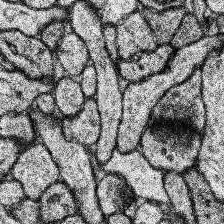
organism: Human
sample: Temporal Lobe